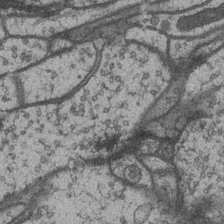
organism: Drosophila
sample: Optic medulla